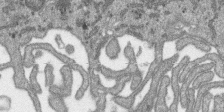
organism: Human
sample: Lung epithelial cells infected with SARS-CoV-2